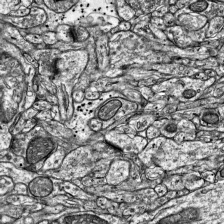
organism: Mouse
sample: Visual Cortex